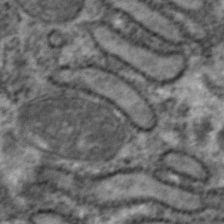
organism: Zebrafish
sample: Zebrafish embryo